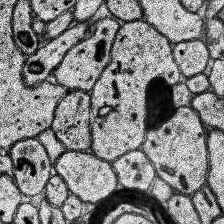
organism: Human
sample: Temporal Lobe